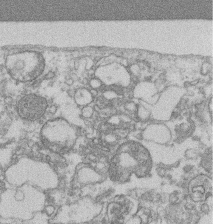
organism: Mouse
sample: T cell stromal cell synapse